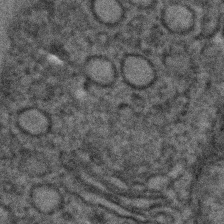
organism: C. elegans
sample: C. elegans embryo